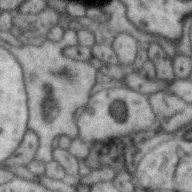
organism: Zebra finch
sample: Brain